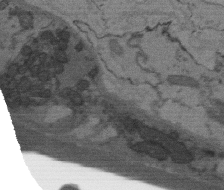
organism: C. elegans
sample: AFD neurons C. elegans